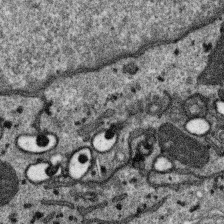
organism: Human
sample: Lung epithelial cells infected with SARS-CoV-2